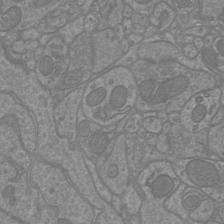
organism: Mouse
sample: Cortical neurons